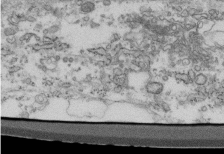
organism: Mouse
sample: Cilia; retinal pigment epithelium